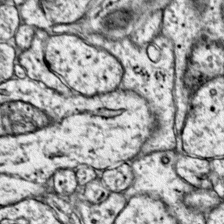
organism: Mouse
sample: Primary visual cortex